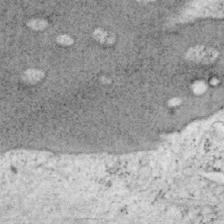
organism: Mouse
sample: OT-I killer T cells with ID8 ovarian cancer cells